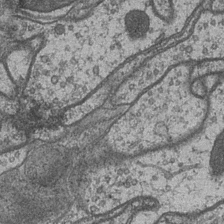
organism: Drosophila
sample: Optic medulla